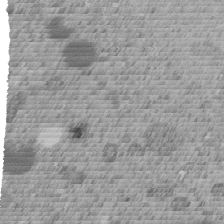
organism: C. elegans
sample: C. elegans embryo early stage